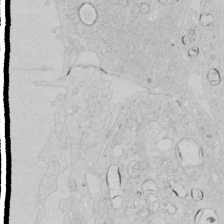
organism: Human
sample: Mitochondria in HCT116 cells